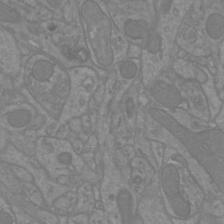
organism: Mouse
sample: Cortical neurons